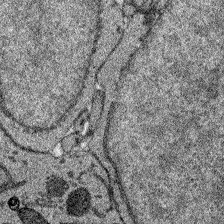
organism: Zebrafish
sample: Larval olfactory bulb